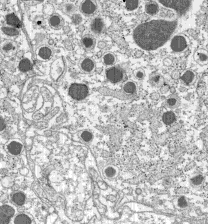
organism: C57BL Mouse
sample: Pancreatic islet